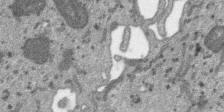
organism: Human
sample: Lung epithelial cells infected with SARS-CoV-2